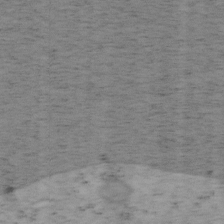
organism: Mouse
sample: OT-I killer T cells with ID8 ovarian cancer cells